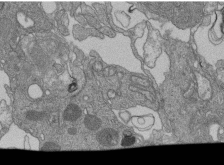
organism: Human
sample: Retinal organoid Rod and Cone cells